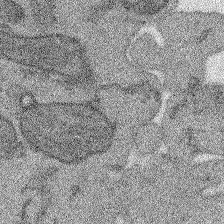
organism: Human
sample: HeLa cells